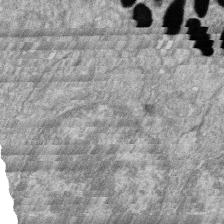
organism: Zebrafish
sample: Cilia; retinal pigment epithelium